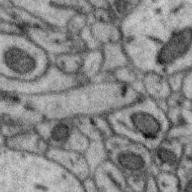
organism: Zebra finch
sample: Brain